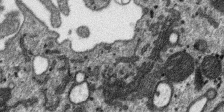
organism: Human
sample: Lung epithelial cells infected with SARS-CoV-2